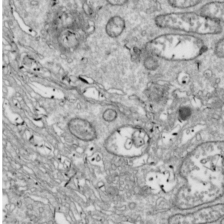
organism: Drosophila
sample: Cell division; meiosis; drosophila spermatocytes